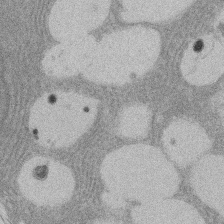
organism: Rat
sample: Salivary granule